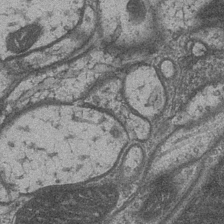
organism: Drosophila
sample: Optic medulla